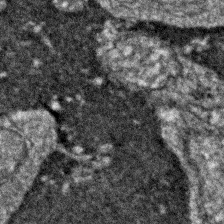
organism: Zebrafish